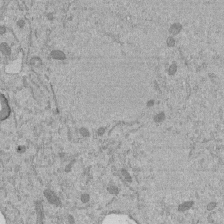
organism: Mouse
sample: ED-1 cell nuclei; centrioles